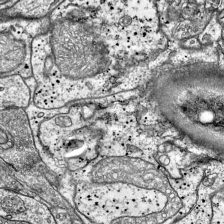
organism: Mouse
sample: Visual Cortex